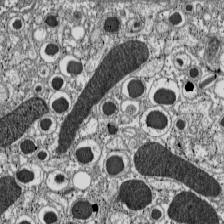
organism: C57BL Mouse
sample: Pancreatic islet